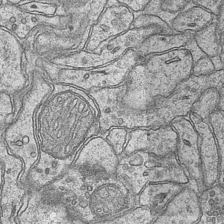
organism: Mouse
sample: CA1 Hippocampus